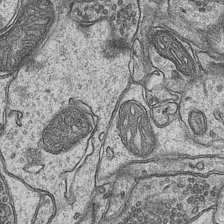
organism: Mouse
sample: CA1 Hippocampus